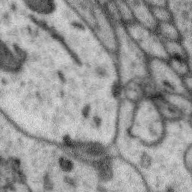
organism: Zebra finch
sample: Brain